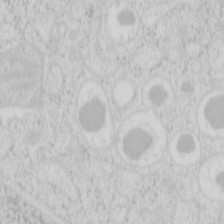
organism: Mouse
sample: Pancreas